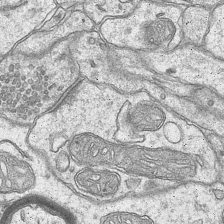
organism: Mouse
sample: CA1 Hippocampus